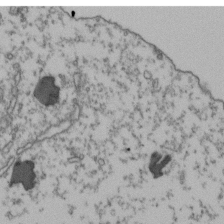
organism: Human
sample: Activated Jurkat CD4+ T cells